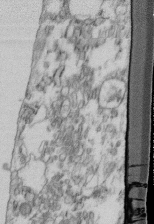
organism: Mouse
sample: Cilia; retinal pigment epithelium